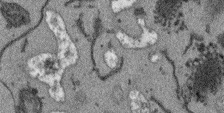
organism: Arabidopsis thaliana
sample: Root tip